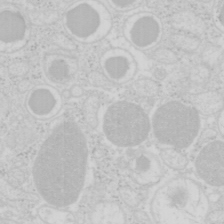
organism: Mouse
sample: Pancreas